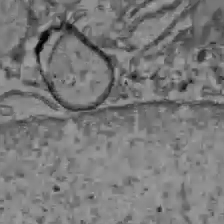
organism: C57BL Mouse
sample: Liver